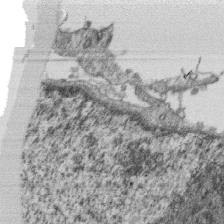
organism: African green monkey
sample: Vero E6 cells infected with SARS-CoV-2